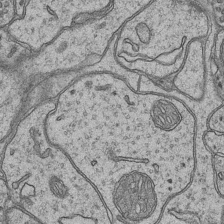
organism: Mouse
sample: CA1 Hippocampus